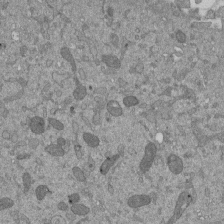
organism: Mouse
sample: ED-1 cell nuclei; centrioles